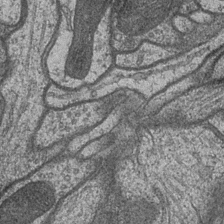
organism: Drosophila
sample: Optic medulla